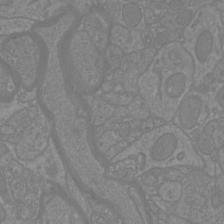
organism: Mouse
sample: Cortical neurons